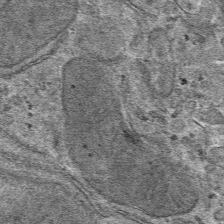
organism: Mouse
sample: Mouse hepatocytes